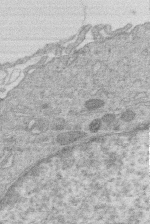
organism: Human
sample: Macrophage cells